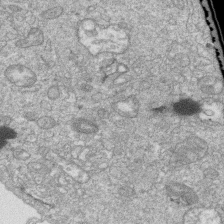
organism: Human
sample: HeLa cell HIV synapse